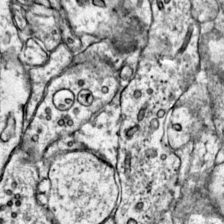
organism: Mouse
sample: Primary visual cortex